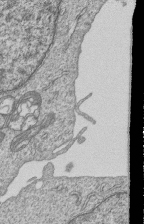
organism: Human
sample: MDA-MB-231 cells